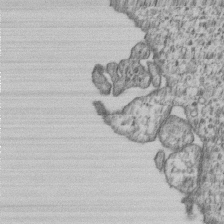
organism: Human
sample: MDA-MB-231 cells